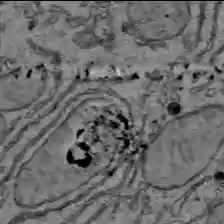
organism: C57BL Mouse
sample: Liver